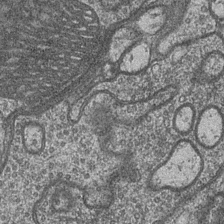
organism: Drosophila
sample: Optic medulla